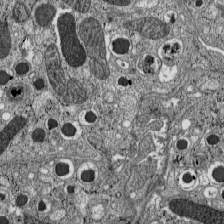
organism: C57BL Mouse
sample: Pancreatic islet